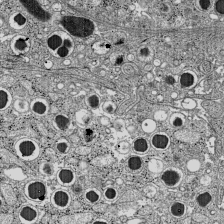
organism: C57BL Mouse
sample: Pancreatic islet